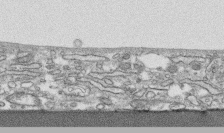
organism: Human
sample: CRL-1474